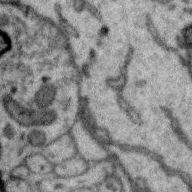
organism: Zebra finch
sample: Brain